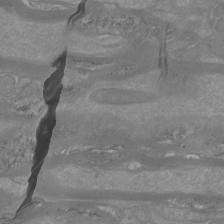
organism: Mouse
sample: Cortical neurons